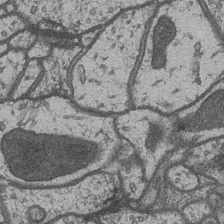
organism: Drosophila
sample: Optic medulla